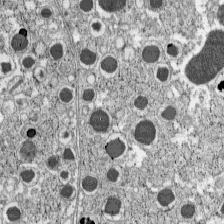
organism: C57BL Mouse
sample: Pancreatic islet